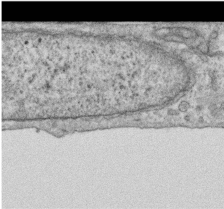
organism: Human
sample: Centriole in RPE cells